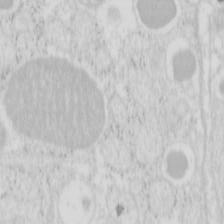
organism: Mouse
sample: Pancreas